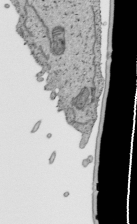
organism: Human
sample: Mitochondria in HCT116 cells